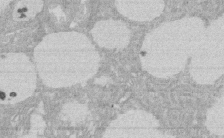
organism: Rat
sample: Salivary granule